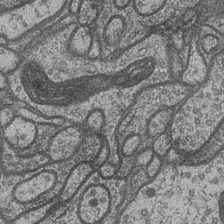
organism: Drosophila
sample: Optic medulla